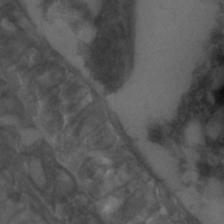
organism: C. elegans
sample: C. elegans embryo